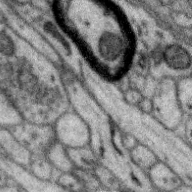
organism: Zebra finch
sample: Brain